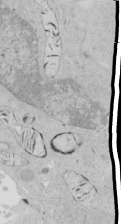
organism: Human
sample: Mitochondria in HCT116 cells